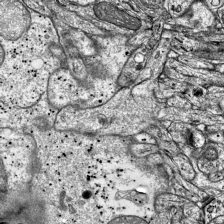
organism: Mouse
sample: Visual Cortex